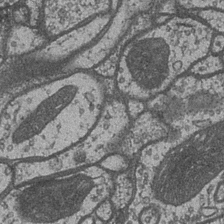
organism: Drosophila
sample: Optic medulla